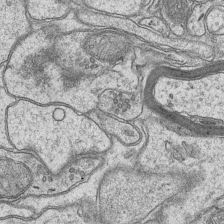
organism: Mouse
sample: CA1 Hippocampus